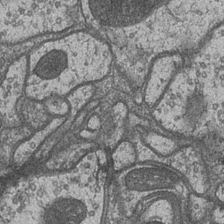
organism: Drosophila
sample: Optic medulla